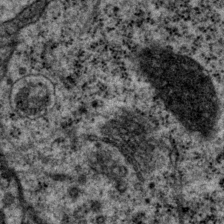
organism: P. pacificus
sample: Pharynx